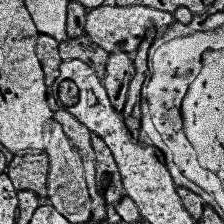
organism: Human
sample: Temporal Lobe